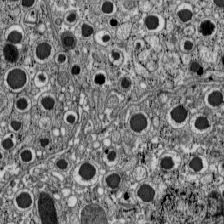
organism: C57BL Mouse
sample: Pancreatic islet